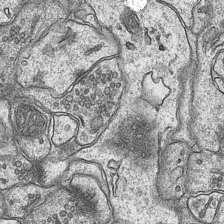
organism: Mouse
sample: CA1 Hippocampus